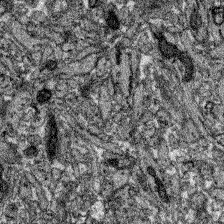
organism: Zebrafish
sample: Larval olfactory bulb